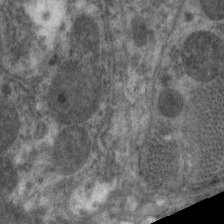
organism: C. elegans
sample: Pharynx